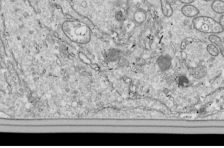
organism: Drosophila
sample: Cell division; meiosis; drosophila spermatocytes